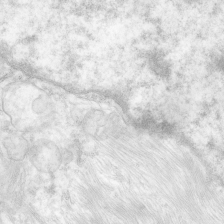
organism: Human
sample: Neocortex